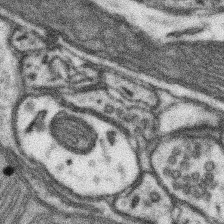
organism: Mouse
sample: Somatosensory cortex neuropil